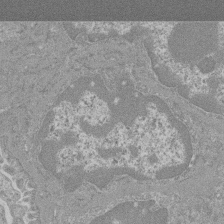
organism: Mouse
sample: Glomerulus